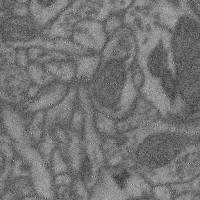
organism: Mouse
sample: Cerebral cortex